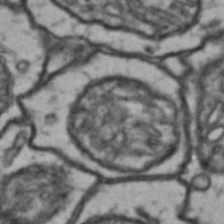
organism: Drosophila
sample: Brain